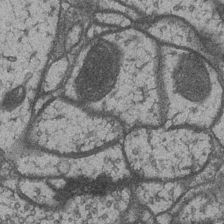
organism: Drosophila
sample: Optic medulla